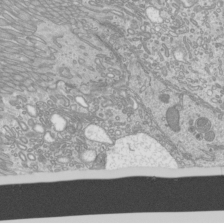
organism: Mouse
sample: Cilia; mouse epididymis